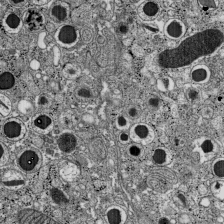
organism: C57BL Mouse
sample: Pancreatic islet